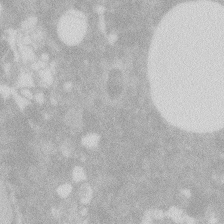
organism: Zebrafish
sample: Macrophage